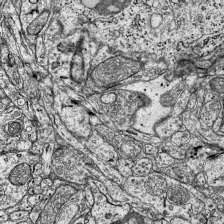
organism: Mouse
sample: Visual Cortex